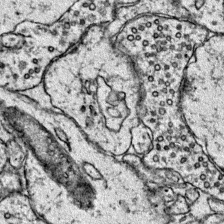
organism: Mouse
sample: Primary visual cortex